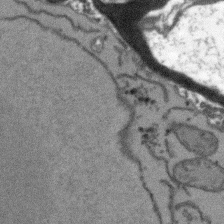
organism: Arabidopsis thaliana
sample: Root tip